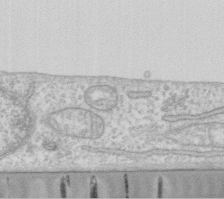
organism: Human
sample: Fibroblast cells